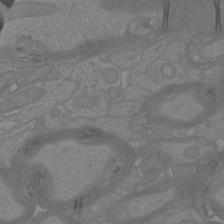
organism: Mouse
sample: Cortical neurons